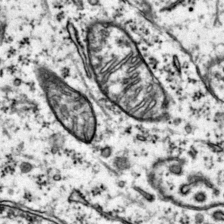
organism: Mouse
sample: Primary visual cortex